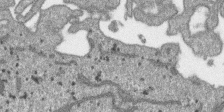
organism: Human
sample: Lung epithelial cells infected with SARS-CoV-2